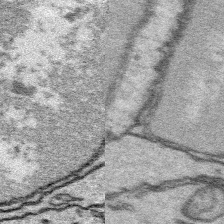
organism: Platynereis dumerilii